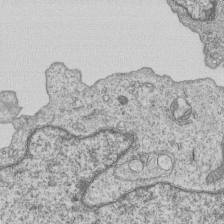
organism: Human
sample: MDA-MB-231 cells